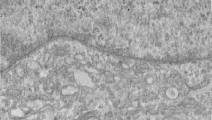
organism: Human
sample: Centriole in RPE cells